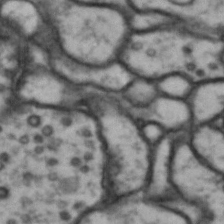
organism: Drosophila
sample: Brain